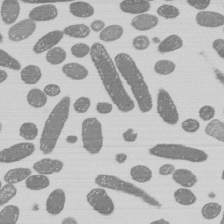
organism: E. coli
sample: Bacterial nucleoid